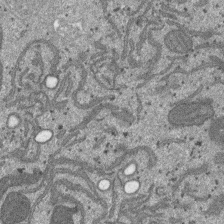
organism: Human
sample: Lung epithelial cells infected with SARS-CoV-2